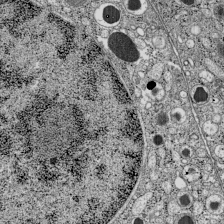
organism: C57BL Mouse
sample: Pancreatic islet